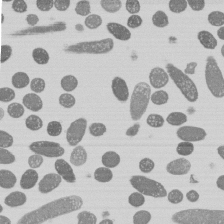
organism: E. coli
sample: Bacterial nucleoid